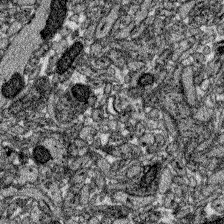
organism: Zebrafish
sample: Larval olfactory bulb